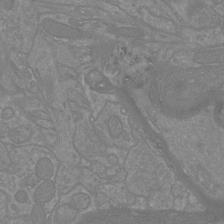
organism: Mouse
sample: Cortical neurons